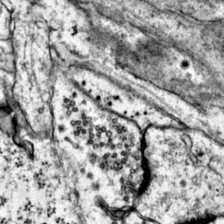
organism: Mouse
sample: Primary visual cortex